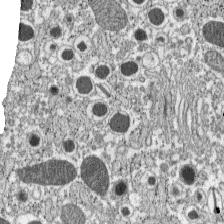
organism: C57BL Mouse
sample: Pancreatic islet